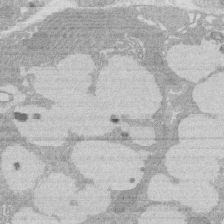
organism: Rat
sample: Salivary granule